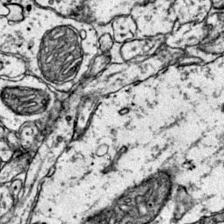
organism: Mouse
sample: Primary visual cortex